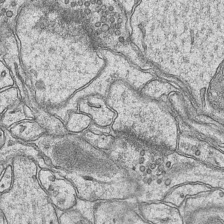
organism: Mouse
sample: CA1 Hippocampus